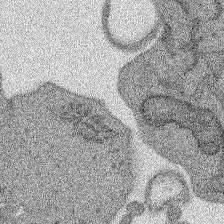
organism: Human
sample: HeLa cells